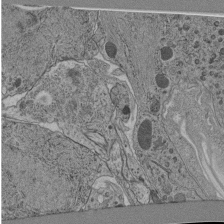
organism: C. elegans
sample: C. elegans pharynx